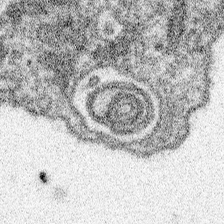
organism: Spongilla lacustris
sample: Neuroid cell